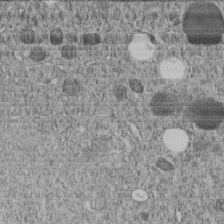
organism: C. elegans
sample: C. elegans embryo early stage